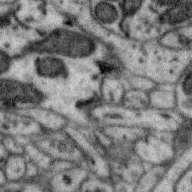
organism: Zebra finch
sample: Brain